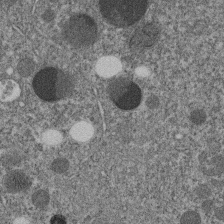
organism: C. elegans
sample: C. elegans embryo early stage